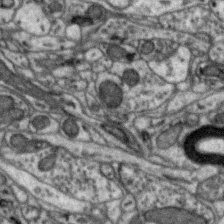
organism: Zebra finch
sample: Brain